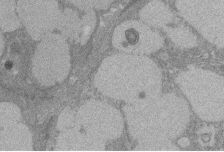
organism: Rat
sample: Salivary granule